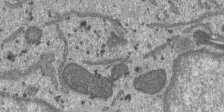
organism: Human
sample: Lung epithelial cells infected with SARS-CoV-2